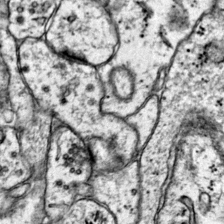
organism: Mouse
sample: Primary visual cortex